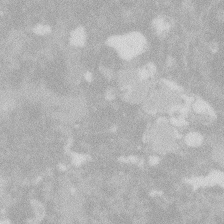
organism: Zebrafish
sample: Macrophage